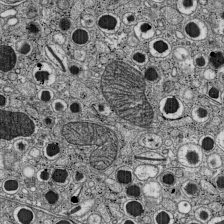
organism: C57BL Mouse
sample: Pancreatic islet